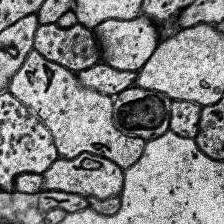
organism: Human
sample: Temporal Lobe